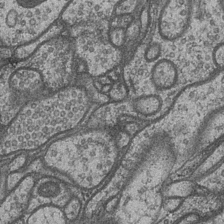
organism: Drosophila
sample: Optic medulla